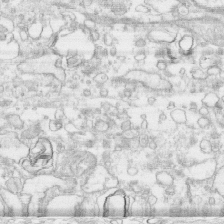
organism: Human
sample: CRL-1474